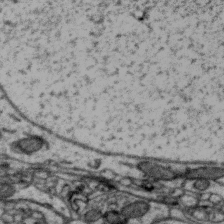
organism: Zebra finch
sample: Brain